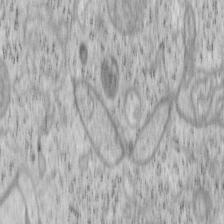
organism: Human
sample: HeLa cells